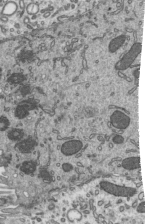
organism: Mouse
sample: Mouse epididymis efferent ductule cilia